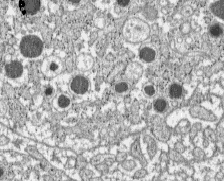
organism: C57BL Mouse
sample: Pancreatic islet